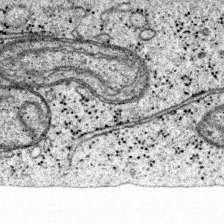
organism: Human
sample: HeLa cells